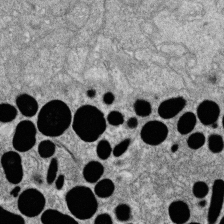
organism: Zebrafish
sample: Cilia; retinal pigment epithelium